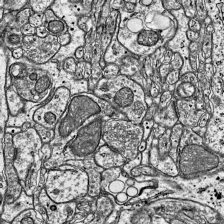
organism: Mouse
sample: Visual Cortex